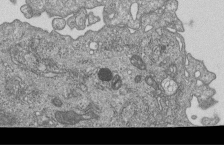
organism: Human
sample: MDA-MB-231 cells